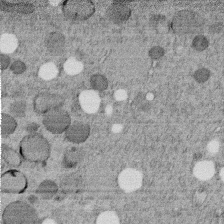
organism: C. elegans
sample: C. elegans embryo early stage